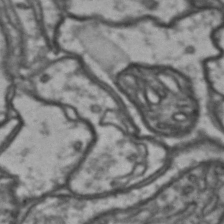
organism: Drosophila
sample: Brain